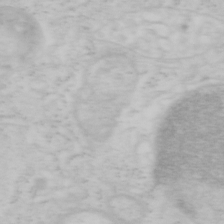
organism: Mouse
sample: OT-I killer T cells with ID8 ovarian cancer cells